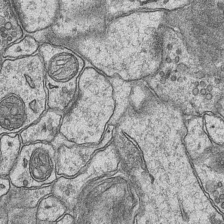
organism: Mouse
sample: CA1 Hippocampus